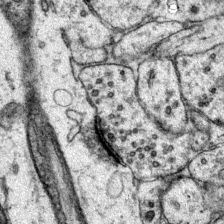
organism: Mouse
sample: Primary visual cortex